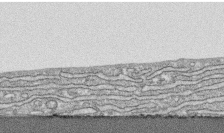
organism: Human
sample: CRL-1474